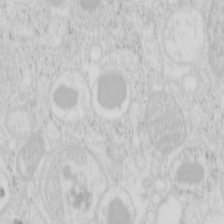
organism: Mouse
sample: Pancreas